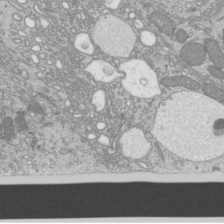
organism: Mouse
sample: Cilia; mouse epididymis